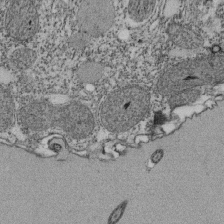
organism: Tetrahymena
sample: Cilia in tetrahymena